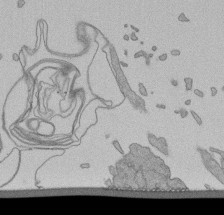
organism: Human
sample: Retinal organoid Rod and Cone cells